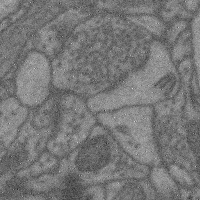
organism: Mouse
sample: Cerebral cortex